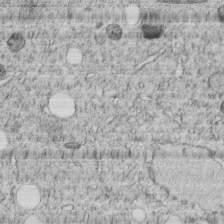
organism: C. elegans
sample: C. elegans embryo early stage